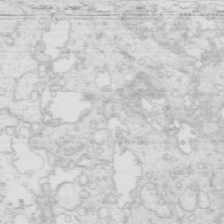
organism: Mouse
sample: Multiciliated cells